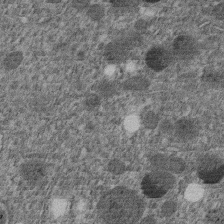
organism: C. elegans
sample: C. elegans embryo early stage